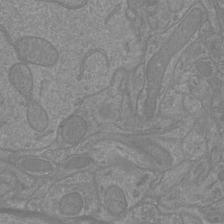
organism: Mouse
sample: Cortical neurons